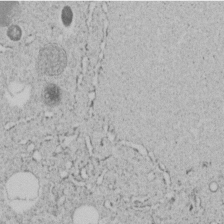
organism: C. elegans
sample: C. elegans embryo early stage